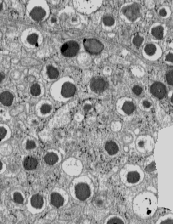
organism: C57BL Mouse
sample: Pancreatic islet